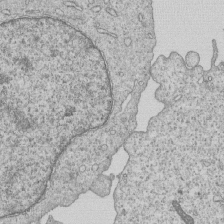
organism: Human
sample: MDA-MB-231 cells